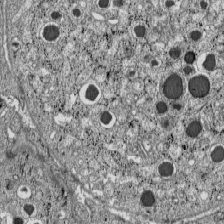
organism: C57BL Mouse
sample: Pancreatic islet